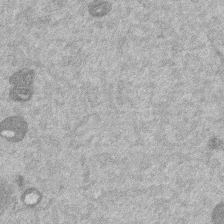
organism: Mouse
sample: Dividing mouse embryo 1 cell stage